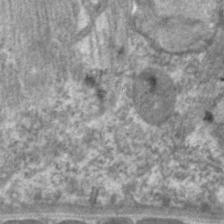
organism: C. elegans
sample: Pharynx